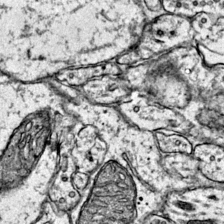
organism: Mouse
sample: Primary visual cortex